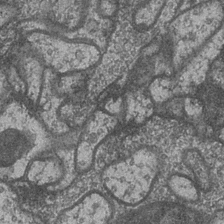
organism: Drosophila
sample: Optic medulla